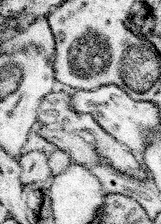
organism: Mouse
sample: Somatosensory cortex neuropil